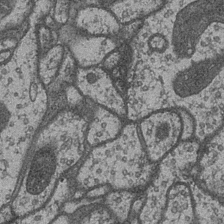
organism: Drosophila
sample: Optic medulla